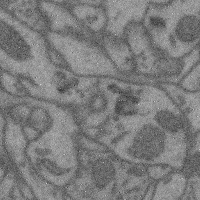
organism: Mouse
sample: Cerebral cortex